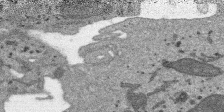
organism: Human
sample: Lung epithelial cells infected with SARS-CoV-2